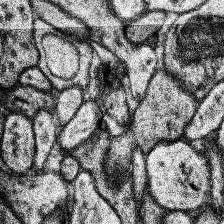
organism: Human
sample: Temporal Lobe